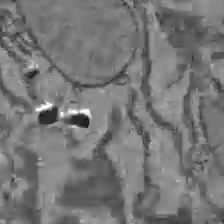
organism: C57BL Mouse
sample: Liver